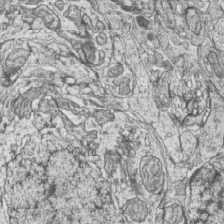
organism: Zebrafish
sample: synaptic ribbons in rod cells and cone cells